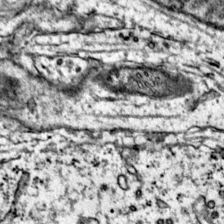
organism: Mouse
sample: Primary visual cortex